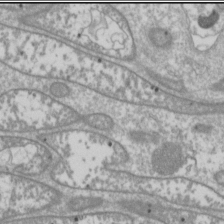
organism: Drosophila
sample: Cell division; meiosis; drosophila spermatocytes